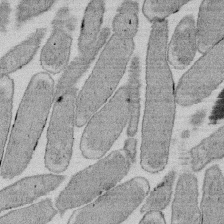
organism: E. coli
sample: Bacterial nucleoid